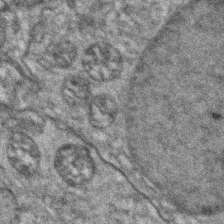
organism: Zebrafish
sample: Zebrafish embryo